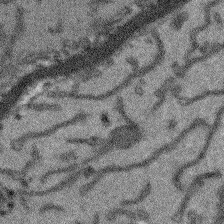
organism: Arabidopsis thaliana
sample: Root tip